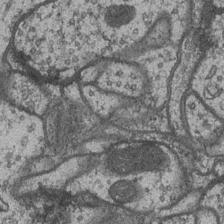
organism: Drosophila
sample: Optic medulla